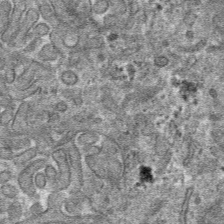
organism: Mouse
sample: Mouse hepatocytes